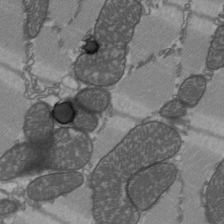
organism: C57BL Mouse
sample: Heart